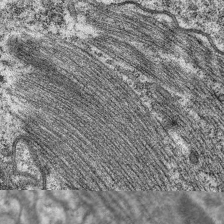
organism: C. elegans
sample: Pharynx